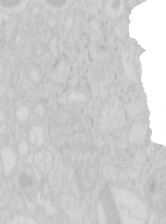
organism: Mouse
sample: Pancreas